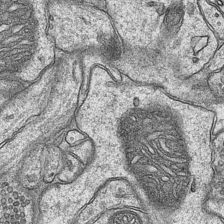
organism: Mouse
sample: CA1 Hippocampus